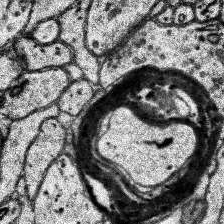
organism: Human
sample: Temporal Lobe